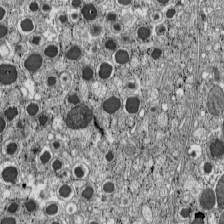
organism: C57BL Mouse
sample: Pancreatic islet